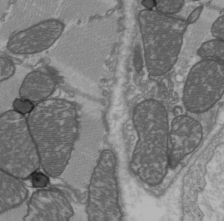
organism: C57BL Mouse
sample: Heart